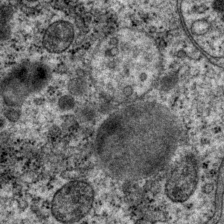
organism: P. pacificus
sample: Pharynx